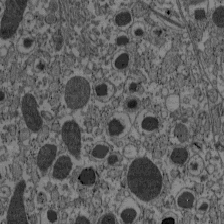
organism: C57BL Mouse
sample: Pancreatic islet